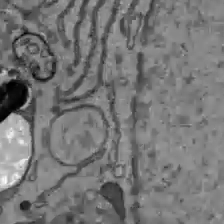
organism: C57BL Mouse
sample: Liver